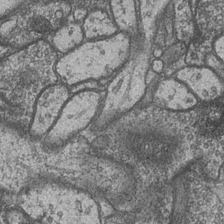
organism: Drosophila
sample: Optic medulla